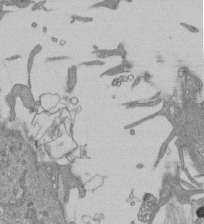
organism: Mouse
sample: ED-1 cell nuclei; centrioles